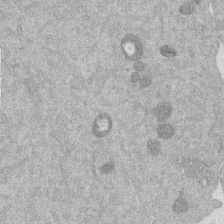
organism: Mouse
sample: Dividing mouse embryo 1 cell stage